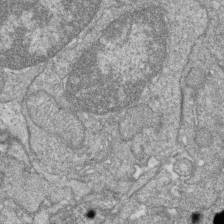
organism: Zebrafish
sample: Cilia; retinal pigment epithelium